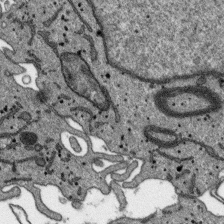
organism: Human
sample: Lung epithelial cells, uninfected (mock) control